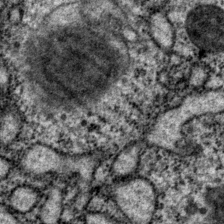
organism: P. pacificus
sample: Pharynx